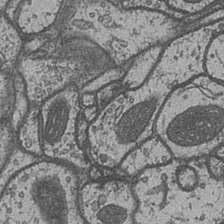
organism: Drosophila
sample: Optic medulla